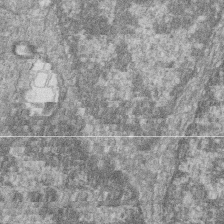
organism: Zebrafish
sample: Cilia; retinal pigment epithelium